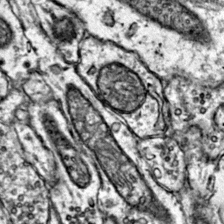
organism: Mouse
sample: Primary visual cortex